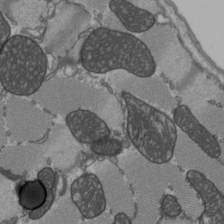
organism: C57BL Mouse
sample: Heart